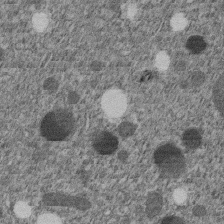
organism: C. elegans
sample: C. elegans embryo early stage